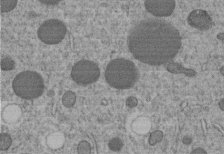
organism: C. elegans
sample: C. elegans embryo early stage